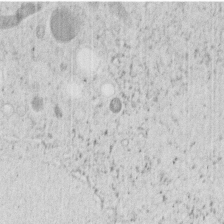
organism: C. elegans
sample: C. elegans embryo early stage